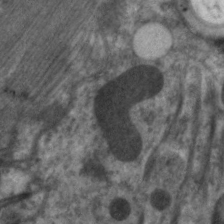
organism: C. elegans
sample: Pharynx